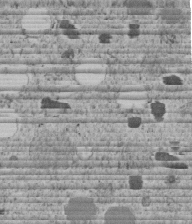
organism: C. elegans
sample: C. elegans embryo early stage